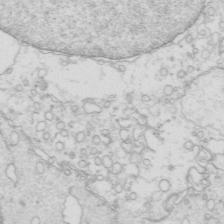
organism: Mouse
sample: Multiciliated cells